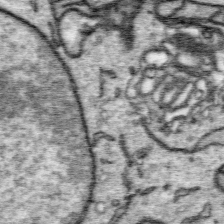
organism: Human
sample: HeLa cells